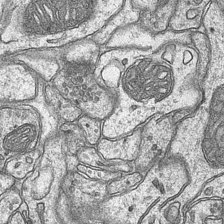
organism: Mouse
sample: CA1 Hippocampus